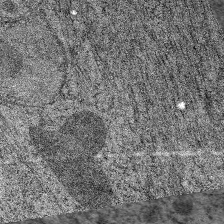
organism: C. elegans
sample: Pharynx